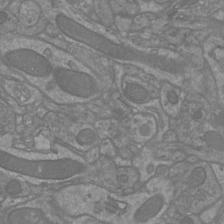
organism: Mouse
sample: Cortical neurons